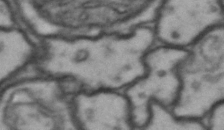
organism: Drosophila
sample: Brain